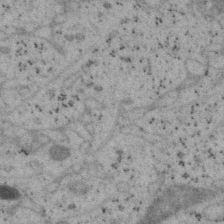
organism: Human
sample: HeLa cells